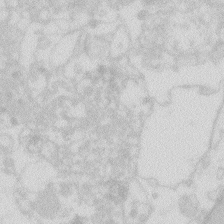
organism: Zebrafish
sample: Macrophage